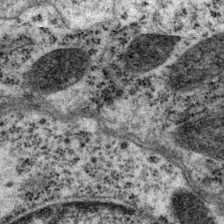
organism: P. pacificus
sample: Pharynx